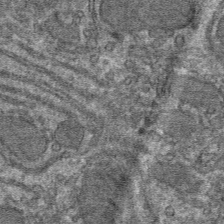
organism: Mouse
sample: Mouse hepatocytes